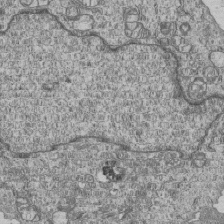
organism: Human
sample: MDA-MB-231 cells